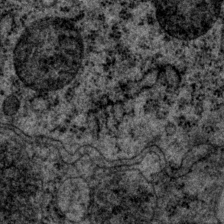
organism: P. pacificus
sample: Pharynx